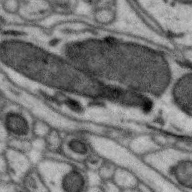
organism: Zebra finch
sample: Brain